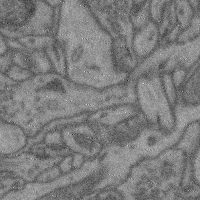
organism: Mouse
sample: Cerebral cortex